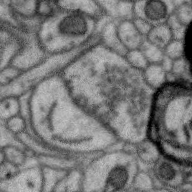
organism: Zebra finch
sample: Brain